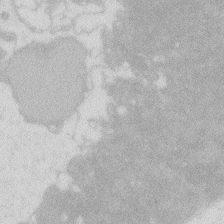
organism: Zebrafish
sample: Macrophage